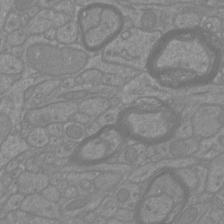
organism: Mouse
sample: Cortical neurons